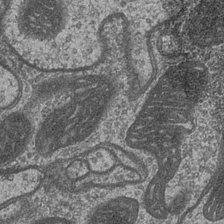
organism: Drosophila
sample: Optic medulla